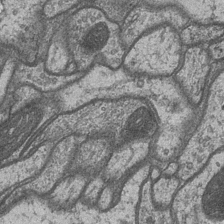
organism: Drosophila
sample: Optic medulla